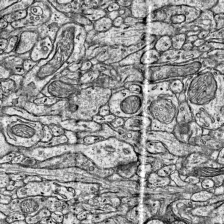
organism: Mouse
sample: Visual Cortex